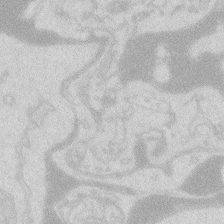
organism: Zebrafish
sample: Macrophage